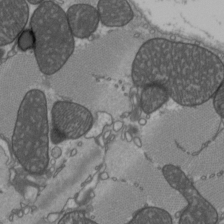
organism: C57BL Mouse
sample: Heart